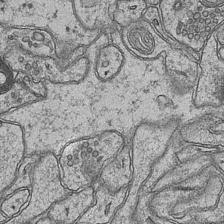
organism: Mouse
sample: CA1 Hippocampus